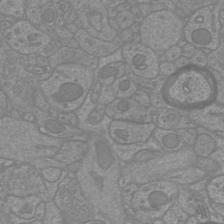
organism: Mouse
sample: Cortical neurons